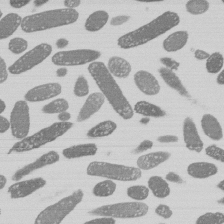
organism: E. coli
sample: Bacterial nucleoid